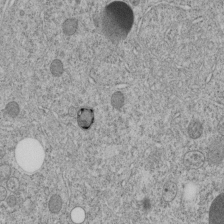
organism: C. elegans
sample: C. elegans embryo early stage